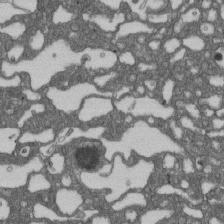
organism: Drosophila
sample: Nephrocyte